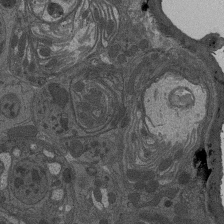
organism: Drosophila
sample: Antenna